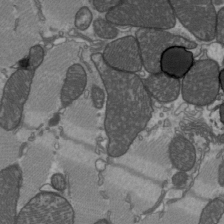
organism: C57BL Mouse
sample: Heart